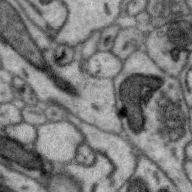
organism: Zebra finch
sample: Brain